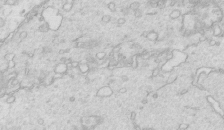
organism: Mouse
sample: Multiciliated cells